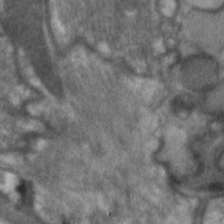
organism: C. elegans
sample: Pharynx